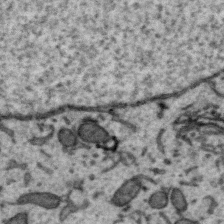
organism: Zebra finch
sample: Brain